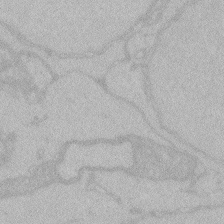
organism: Zebrafish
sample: Macrophage infected with Toxoplasma gondii